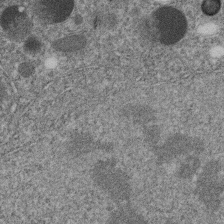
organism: C. elegans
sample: C. elegans embryo early stage